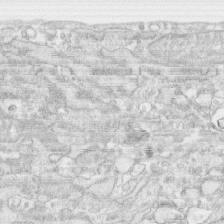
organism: Human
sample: CRL-1474